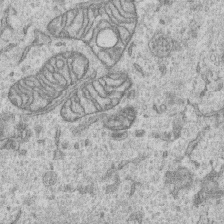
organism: Human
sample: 1205lu cells